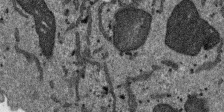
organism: Human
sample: Lung epithelial cells infected with SARS-CoV-2